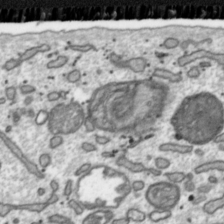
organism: Toxoplasma gondii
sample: Parasites in a vacuole inside a host cell